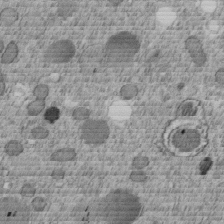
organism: C. elegans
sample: C. elegans embryo early stage